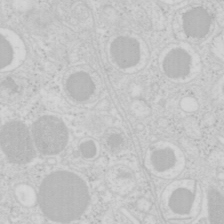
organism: Mouse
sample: Pancreas